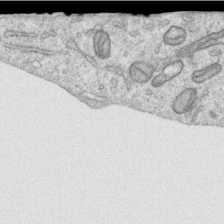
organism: Human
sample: Centriole in RPE cells